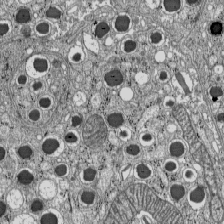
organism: C57BL Mouse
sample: Pancreatic islet